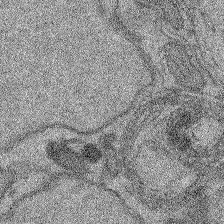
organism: Human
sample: HeLa cells